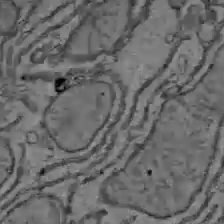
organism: C57BL Mouse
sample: Liver